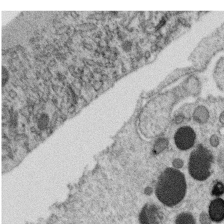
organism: C. elegans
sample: C. elegans oocyte; sperm cells